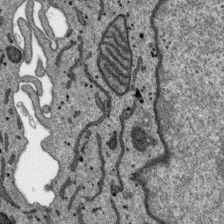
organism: Human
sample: Lung epithelial cells, uninfected (mock) control